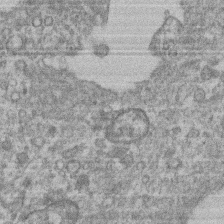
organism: Mouse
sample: T cell stromal cell synapse